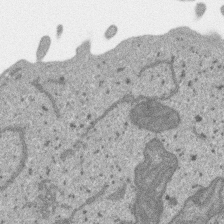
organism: Human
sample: Lung epithelial cells infected with SARS-CoV-2